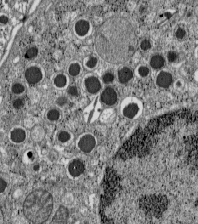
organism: C57BL Mouse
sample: Pancreatic islet